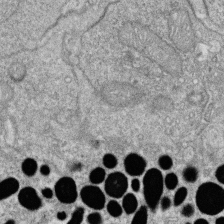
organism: Zebrafish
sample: Cilia; retinal pigment epithelium